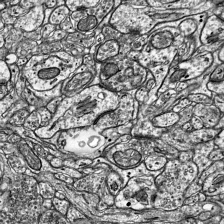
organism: Mouse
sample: Visual Cortex